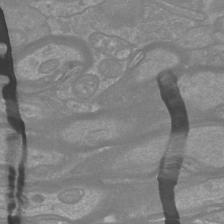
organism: Mouse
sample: Cortical neurons